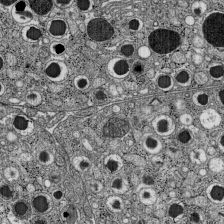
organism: C57BL Mouse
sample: Pancreatic islet